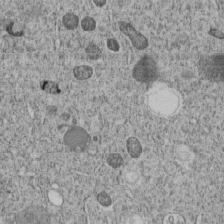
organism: C. elegans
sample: C. elegans embryo early stage